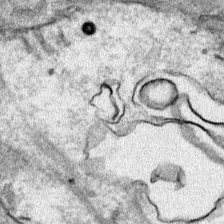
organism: Human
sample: Mitochondria in HCT116 cells